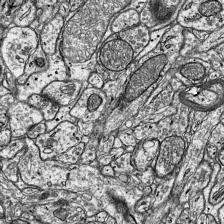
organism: Mouse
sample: Visual Cortex